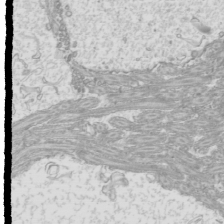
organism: Mouse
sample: Cilia; mouse epididymis